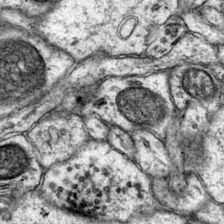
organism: Mouse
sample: Primary visual cortex